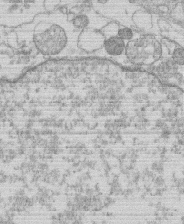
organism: Human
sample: Macrophage cells